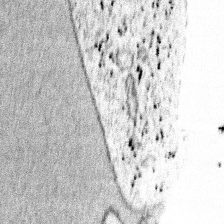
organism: Human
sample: HeLa cells